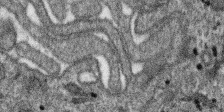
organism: Human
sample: Lung epithelial cells infected with SARS-CoV-2